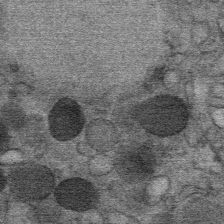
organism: Mouse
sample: Mouse Salivary gland